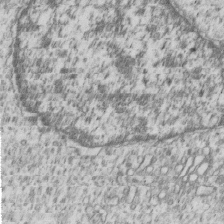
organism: Human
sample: MDA-MB-231 cells